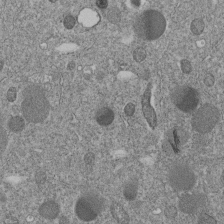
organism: C. elegans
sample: C. elegans embryo early stage